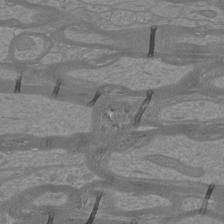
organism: Mouse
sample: Cortical neurons